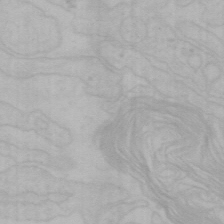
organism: Mouse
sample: Choroid plexus